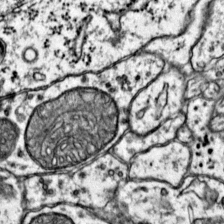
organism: Mouse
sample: Primary visual cortex